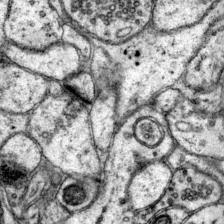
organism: Mouse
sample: Primary visual cortex